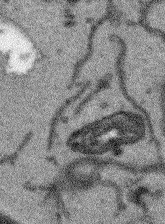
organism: Arabidopsis thaliana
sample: Root tip